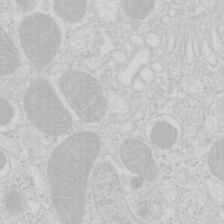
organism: Mouse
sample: Pancreas